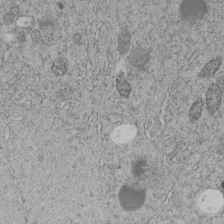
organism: C. elegans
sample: C. elegans embryo early stage